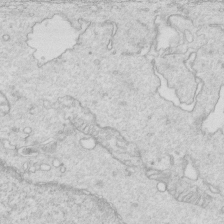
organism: Mouse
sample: Multiciliated cells